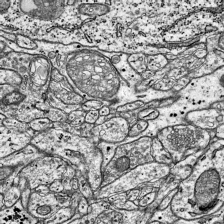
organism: Mouse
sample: Visual Cortex